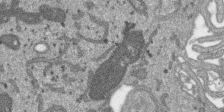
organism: Human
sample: Lung epithelial cells infected with SARS-CoV-2